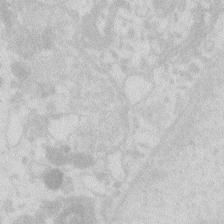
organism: Zebrafish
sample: Macrophage